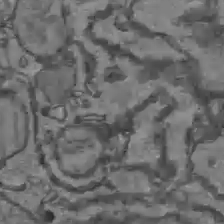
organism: C57BL Mouse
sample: Liver